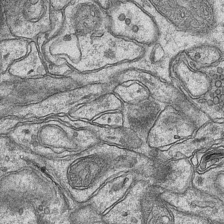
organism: Mouse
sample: CA1 Hippocampus